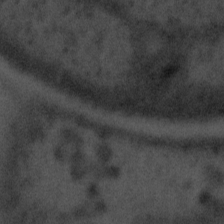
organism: Tuwongella immobilis